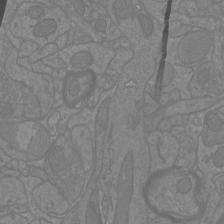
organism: Mouse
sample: Cortical neurons